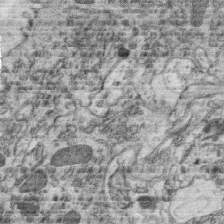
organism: C. elegans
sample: C. elegans oocyte; sperm cells